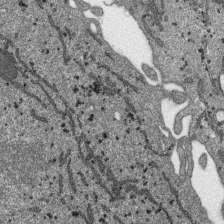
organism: Human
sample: Lung epithelial cells infected with SARS-CoV-2